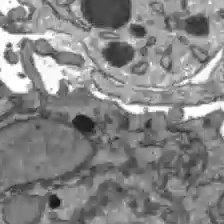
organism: C57BL Mouse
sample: Liver